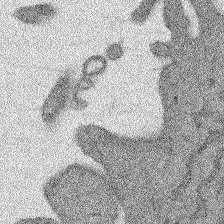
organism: Human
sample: HeLa cells